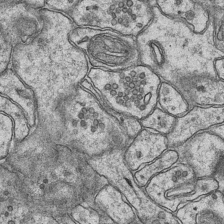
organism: Mouse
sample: CA1 Hippocampus